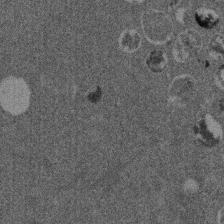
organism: Mouse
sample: Dividing mouse embryo 1 cell stage